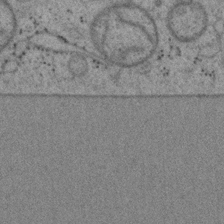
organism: Human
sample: HeLa cells